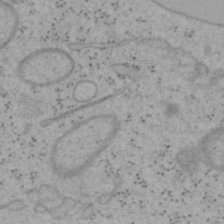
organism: Human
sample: HeLa cells